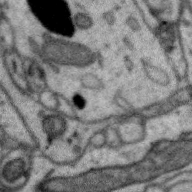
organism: Zebra finch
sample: Brain